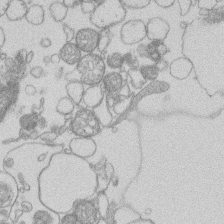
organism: Human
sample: Macrophage cells